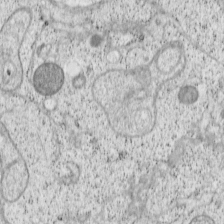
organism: African green monkey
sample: COS-7 cells